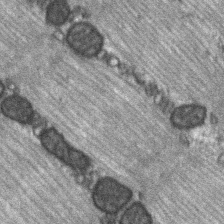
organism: C57BL Mouse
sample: Soleus